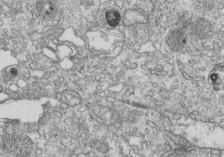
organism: Human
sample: HeLa cell HIV synapse